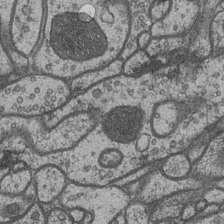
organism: Drosophila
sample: Optic medulla